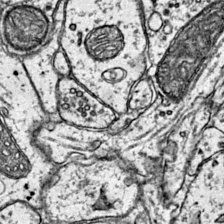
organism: Mouse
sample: Primary visual cortex